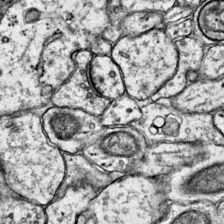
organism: Mouse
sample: Primary visual cortex